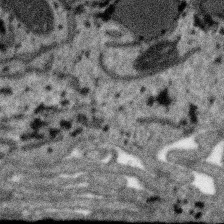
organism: Human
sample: Lung epithelial cells infected with SARS-CoV-2